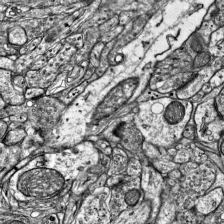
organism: Mouse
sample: Visual Cortex